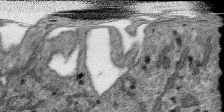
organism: Human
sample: Lung epithelial cells infected with SARS-CoV-2